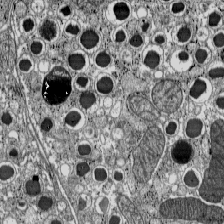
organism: C57BL Mouse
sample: Pancreatic islet